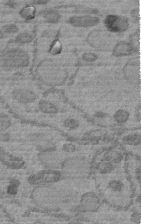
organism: C. elegans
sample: C. elegans embryo early stage